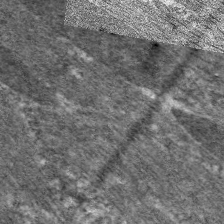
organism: C. elegans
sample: Pharynx